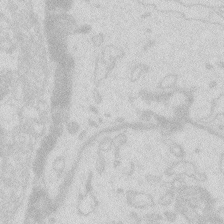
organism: Zebrafish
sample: Macrophage